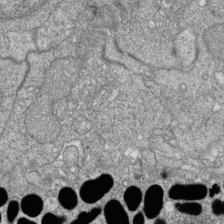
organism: Zebrafish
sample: Cilia; retinal pigment epithelium